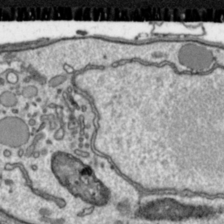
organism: Toxoplasma gondii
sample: Parasites in a vacuole inside a host cell